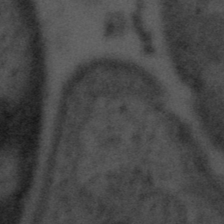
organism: Tuwongella immobilis